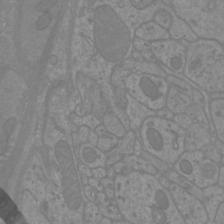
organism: Mouse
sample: Cortical neurons